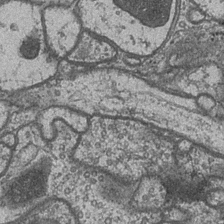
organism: Drosophila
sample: Optic medulla